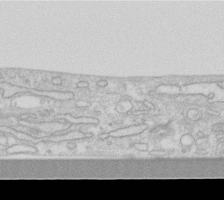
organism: Human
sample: Fibroblast cells